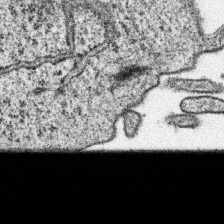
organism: Human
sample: HeLa cells